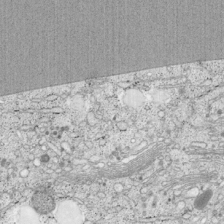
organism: African green monkey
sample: COS-7 cells